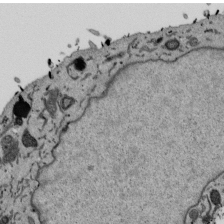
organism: Mouse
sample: ED-1 cell nuclei; centrioles